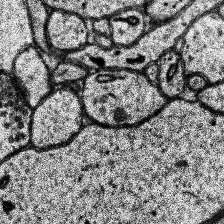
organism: Human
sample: Temporal Lobe